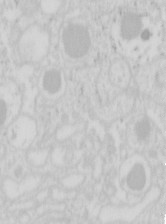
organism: Mouse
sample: Pancreas